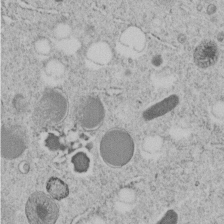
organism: C. elegans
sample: C. elegans embryo early stage